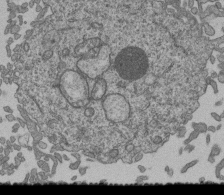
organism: Human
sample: Retinal organoid Rod and Cone cells